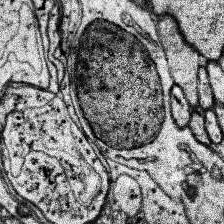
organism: Human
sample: Temporal Lobe